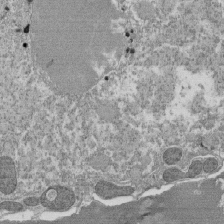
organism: Tetrahymena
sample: Cilia in tetrahymena